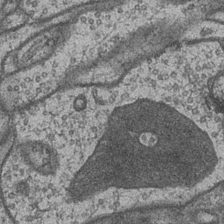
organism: Drosophila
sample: Optic medulla